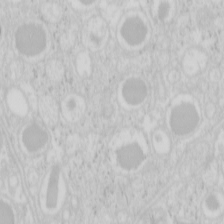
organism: Mouse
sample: Pancreas